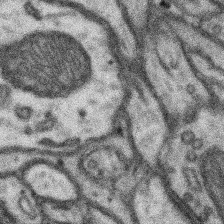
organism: Mouse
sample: Somatosensory cortex neuropil